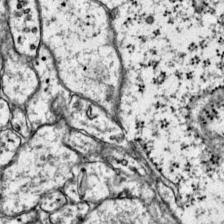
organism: Mouse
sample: Primary visual cortex